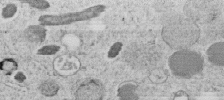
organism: C. elegans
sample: C. elegans embryo early stage